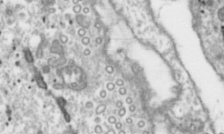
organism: Toxoplasma gondii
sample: Parasites in a vacuole inside a host cell